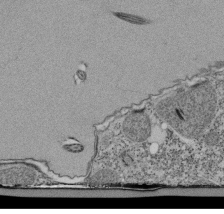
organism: Tetrahymena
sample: Cilia in tetrahymena